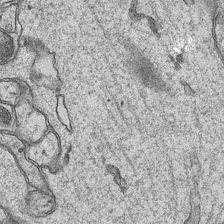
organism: Mouse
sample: CA1 Hippocampus